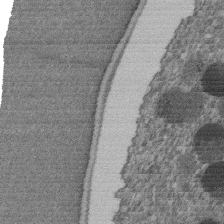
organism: C. elegans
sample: C. elegans embryo early stage